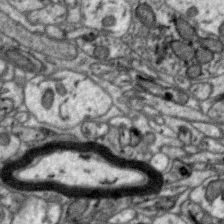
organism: Zebra finch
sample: Brain